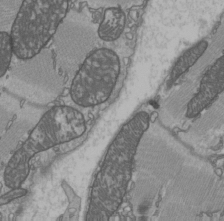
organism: C57BL Mouse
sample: Heart